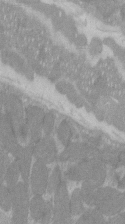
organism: C57BL Mouse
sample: Tibialis anterior muscle cell